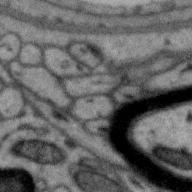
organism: Zebra finch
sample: Brain